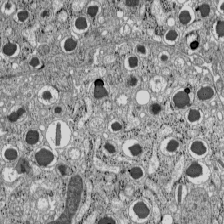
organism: C57BL Mouse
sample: Pancreatic islet